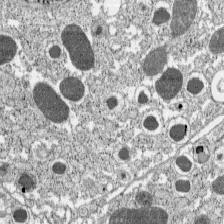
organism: C57BL Mouse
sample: Pancreatic islet